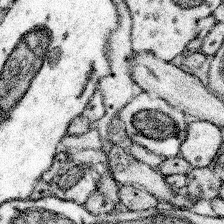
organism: Mouse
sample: Somatosensory cortex neuropil